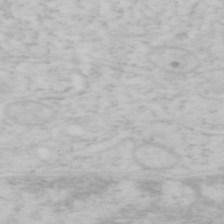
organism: Mouse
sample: OT-I killer T cells with ID8 ovarian cancer cells